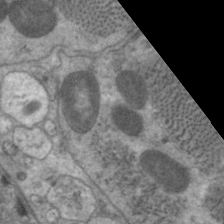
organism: C. elegans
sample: Pharynx